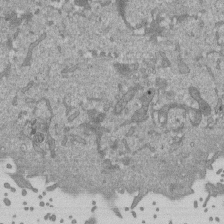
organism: Mouse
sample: ED-1 cell nuclei; centrioles